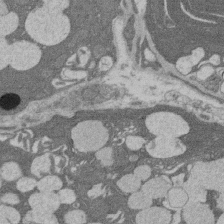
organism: Rat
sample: Salivary granule